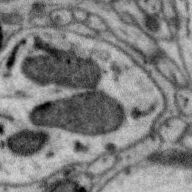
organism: Zebra finch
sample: Brain